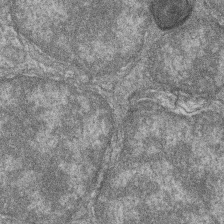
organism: Zebrafish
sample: Cilia; retinal pigment epithelium